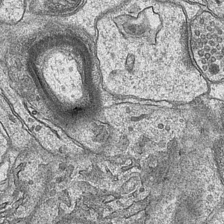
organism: Mouse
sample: CA1 Hippocampus